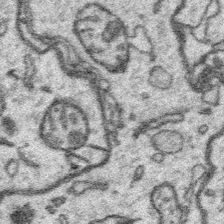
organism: Platynereis dumerilii